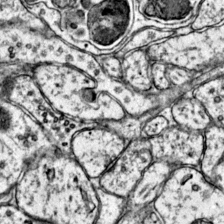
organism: Mouse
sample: Primary visual cortex